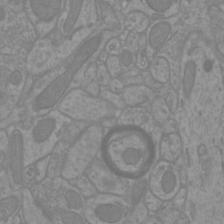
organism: Mouse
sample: Cortical neurons